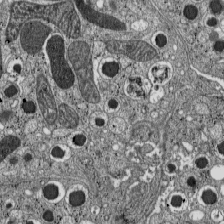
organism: C57BL Mouse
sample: Pancreatic islet